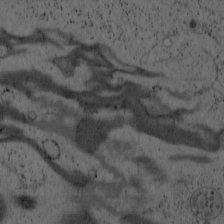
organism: African green monkey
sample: COS-7 cells